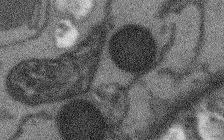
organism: Arabidopsis thaliana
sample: Root tip